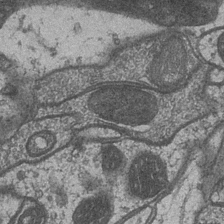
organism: Drosophila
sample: Optic medulla